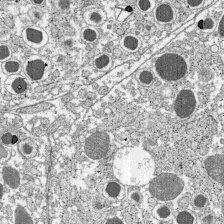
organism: C57BL Mouse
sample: Pancreatic islet